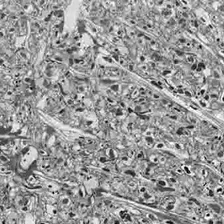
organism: Drosophila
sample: Optic lobe